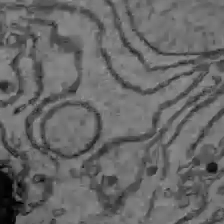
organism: C57BL Mouse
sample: Liver